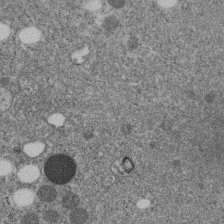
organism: C. elegans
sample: C. elegans embryo early stage